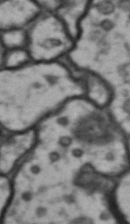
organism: Drosophila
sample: Brain